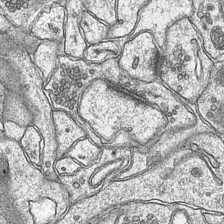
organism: Mouse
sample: CA1 Hippocampus